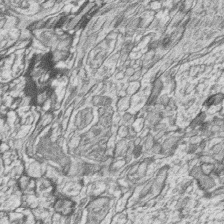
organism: Zebrafish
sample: synaptic ribbons in rod cells and cone cells